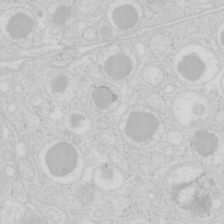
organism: Mouse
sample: Pancreas